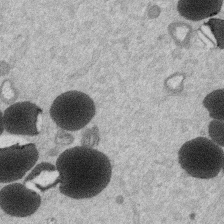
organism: Mouse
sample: Dividing mouse embryo 1 cell stage